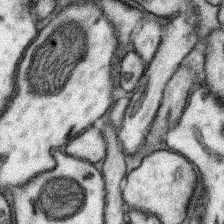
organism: Mouse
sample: Somatosensory cortex neuropil